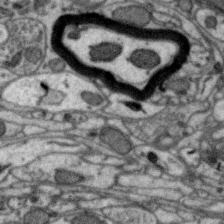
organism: Zebra finch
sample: Brain